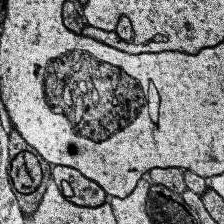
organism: Human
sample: Temporal Lobe